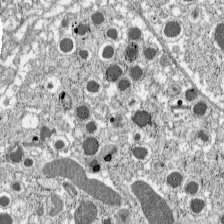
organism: C57BL Mouse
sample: Pancreatic islet